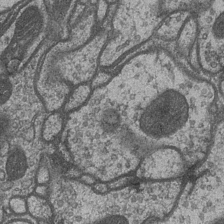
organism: Drosophila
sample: Optic medulla